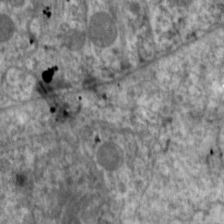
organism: C. elegans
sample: Pharynx